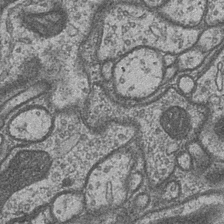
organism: Drosophila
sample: Optic medulla